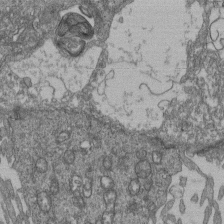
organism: Human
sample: Retinal organoid Rod and Cone cells